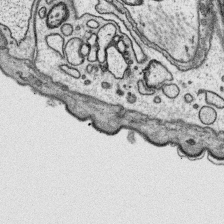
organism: Platynereis dumerilii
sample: Parapodia